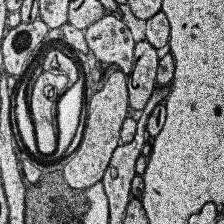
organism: Human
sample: Temporal Lobe